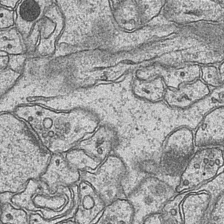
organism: Mouse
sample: CA1 Hippocampus